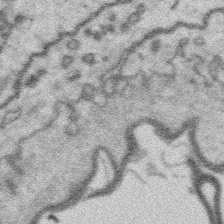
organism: Platynereis dumerilii